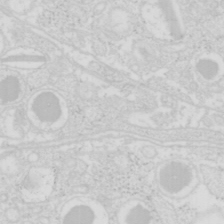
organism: Mouse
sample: Pancreas